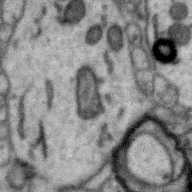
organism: Zebra finch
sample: Brain